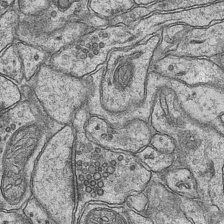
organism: Mouse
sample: CA1 Hippocampus